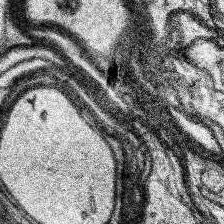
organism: Human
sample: Temporal Lobe